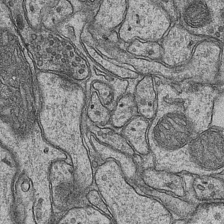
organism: Mouse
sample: CA1 Hippocampus